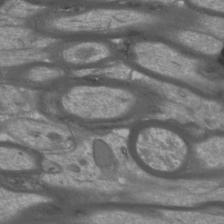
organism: Mouse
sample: Cortical neurons